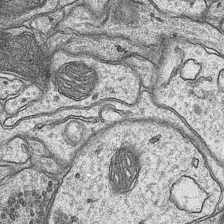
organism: Mouse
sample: CA1 Hippocampus